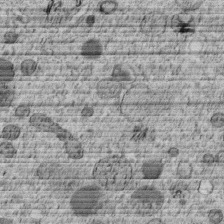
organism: C. elegans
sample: C. elegans embryo early stage